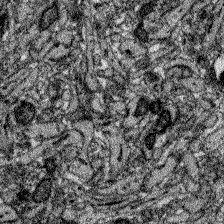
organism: Zebrafish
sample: Larval olfactory bulb